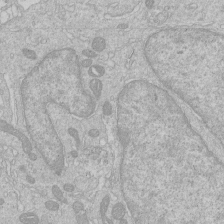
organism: Human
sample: Macrophage cells